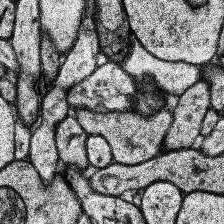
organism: Human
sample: Temporal Lobe